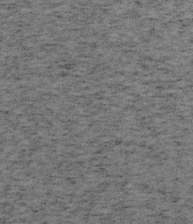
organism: Mouse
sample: OT-I killer T cells with ID8 ovarian cancer cells